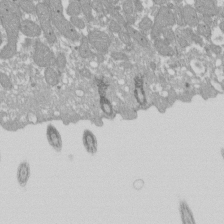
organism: Xenopus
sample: Cilia; centrioles in frog embryo cells